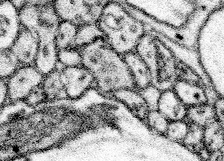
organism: Mouse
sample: Somatosensory cortex neuropil